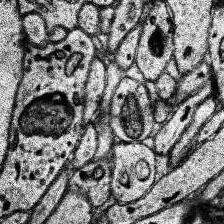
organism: Human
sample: Temporal Lobe